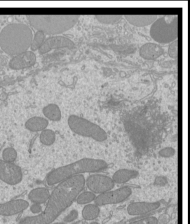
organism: Mouse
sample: Cilia; mouse epididymis